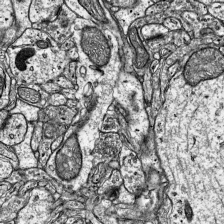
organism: Mouse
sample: Visual Cortex